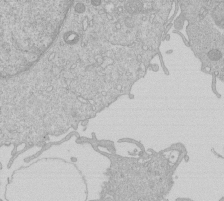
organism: Human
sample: Macrophage cells